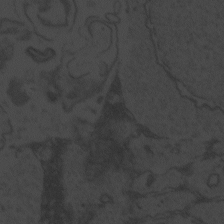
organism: Zebrafish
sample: Macrophage infected with Toxoplasma gondii